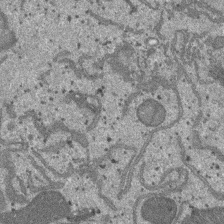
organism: Human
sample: Lung epithelial cells infected with SARS-CoV-2